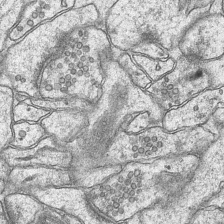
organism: Mouse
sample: CA1 Hippocampus